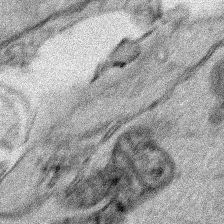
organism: Human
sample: Mitochondria in HCT116 cells